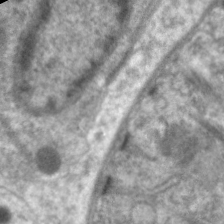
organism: C. elegans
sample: Pharynx